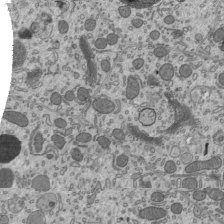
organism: Mouse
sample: Mouse epididymis efferent ductule cilia